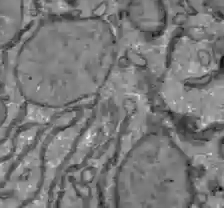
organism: C57BL Mouse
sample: Liver